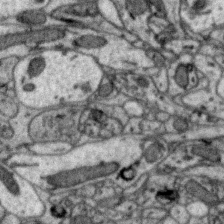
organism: Zebra finch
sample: Brain